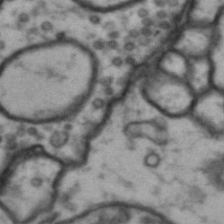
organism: Drosophila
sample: Brain